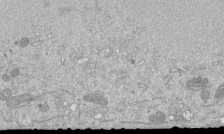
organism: Mouse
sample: ED-1 cell nuclei; centrioles